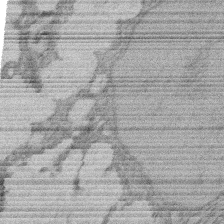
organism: Rat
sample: Salivary granule